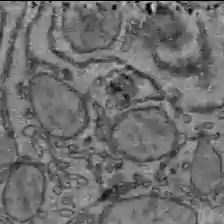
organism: C57BL Mouse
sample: Liver